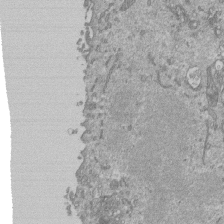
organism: Mouse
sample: ED-1 cell nuclei; centrioles